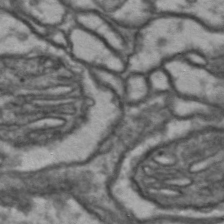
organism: Drosophila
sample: Brain